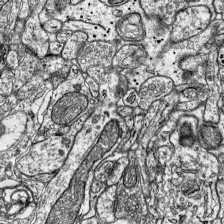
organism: Mouse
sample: Visual Cortex